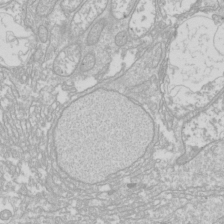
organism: Drosophila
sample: Cell division; meiosis; drosophila spermatocytes